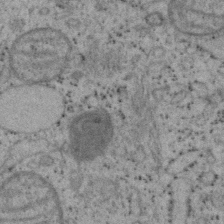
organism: Human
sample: HeLa cells